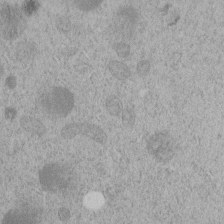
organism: C. elegans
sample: C. elegans embryo early stage